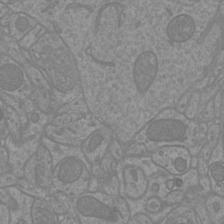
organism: Mouse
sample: Cortical neurons